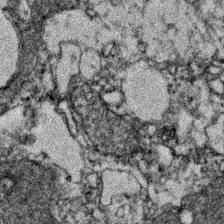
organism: Zebrafish